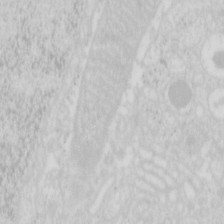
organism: Mouse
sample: Pancreas